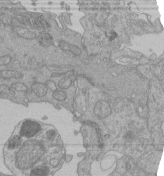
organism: Human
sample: Retinal organoid Rod and Cone cells